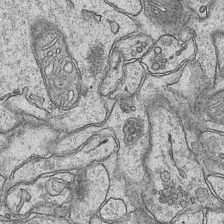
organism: Mouse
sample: CA1 Hippocampus